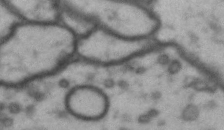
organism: Drosophila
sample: Brain